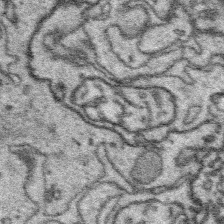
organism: Platynereis dumerilii